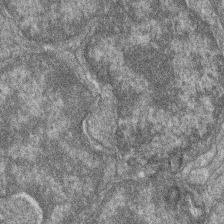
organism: Zebrafish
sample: Cilia; retinal pigment epithelium